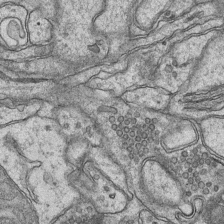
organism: Mouse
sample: CA1 Hippocampus